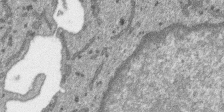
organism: Human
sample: Lung epithelial cells infected with SARS-CoV-2